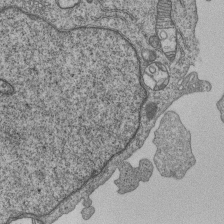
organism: Human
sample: MDA-MB-231 cells